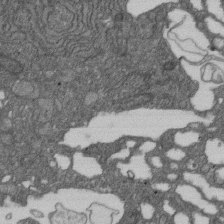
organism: Drosophila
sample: Nephrocyte